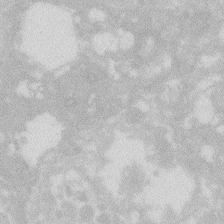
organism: Zebrafish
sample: Macrophage